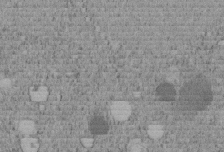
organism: C. elegans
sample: C. elegans embryo early stage